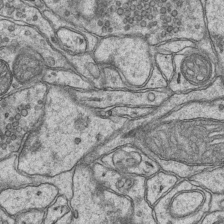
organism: Mouse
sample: CA1 Hippocampus